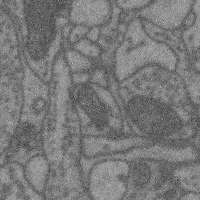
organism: Mouse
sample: Cerebral cortex